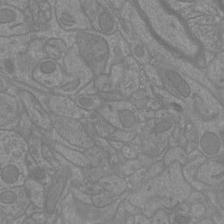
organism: Mouse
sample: Cortical neurons